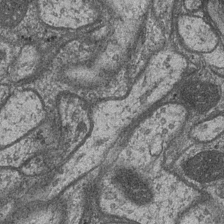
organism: Drosophila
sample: Optic medulla